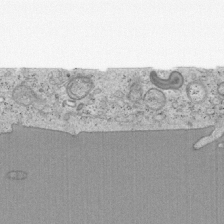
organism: Human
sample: HeLa cells